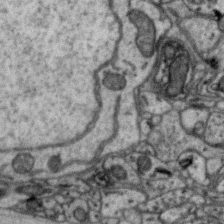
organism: Zebra finch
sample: Brain